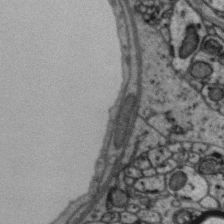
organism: Zebra finch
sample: Brain